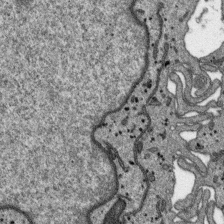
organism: Human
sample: Lung epithelial cells, uninfected (mock) control